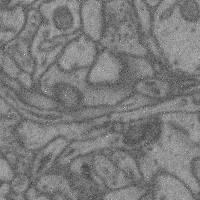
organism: Mouse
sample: Cerebral cortex